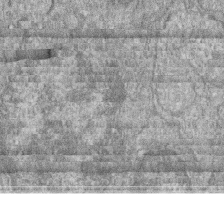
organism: Zebrafish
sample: Cilia; retinal pigment epithelium